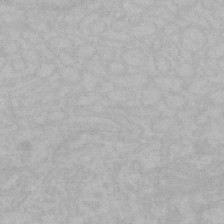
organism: Mouse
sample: Choroid plexus